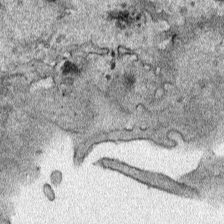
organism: Human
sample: Mitochondria in HCT116 cells